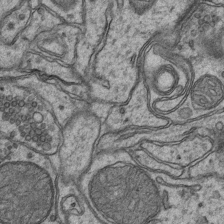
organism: Mouse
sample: CA1 Hippocampus